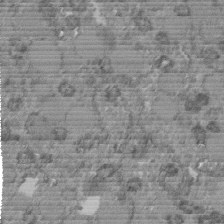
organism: C. elegans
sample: C. elegans embryo early stage